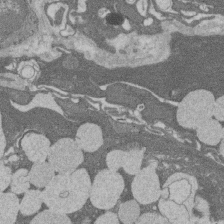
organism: Rat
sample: Salivary granule